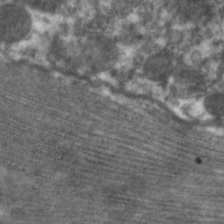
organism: C. elegans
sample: Pharynx